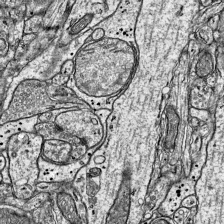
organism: Mouse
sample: Visual Cortex